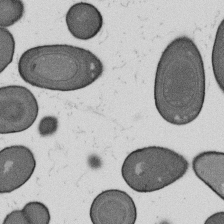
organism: B. subtilis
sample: Bacterial spore